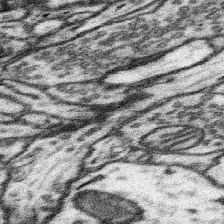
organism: Mouse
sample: Somatosensory cortex neuropil